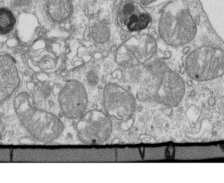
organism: Mouse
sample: Activated OT-1 CD8+ T cells